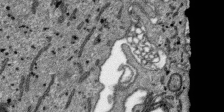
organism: Human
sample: Lung epithelial cells, uninfected (mock) control